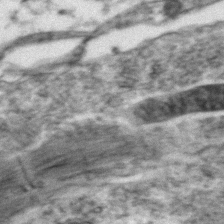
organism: Zebrafish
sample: Zebrafish embryo